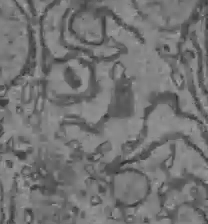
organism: C57BL Mouse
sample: Liver